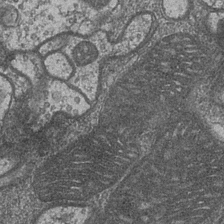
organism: Drosophila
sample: Optic medulla